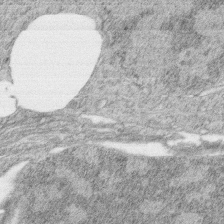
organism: Zebrafish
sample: synaptic ribbons in rod cells and cone cells